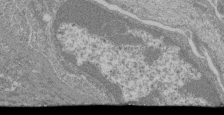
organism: Mouse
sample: Glomerulus